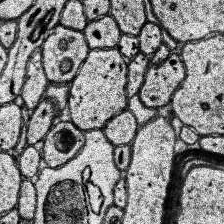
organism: Human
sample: Temporal Lobe